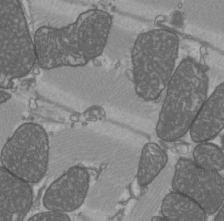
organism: C57BL Mouse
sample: Heart